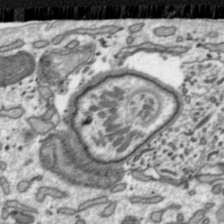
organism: Toxoplasma gondii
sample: Parasites in a vacuole inside a host cell